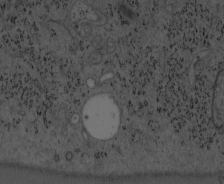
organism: Mouse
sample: OT-I killer T cells with ID8 ovarian cancer cells